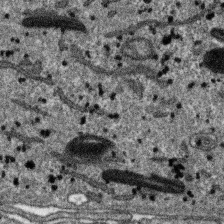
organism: Human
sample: Lung epithelial cells infected with SARS-CoV-2